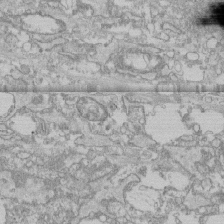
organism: Human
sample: CRL-1474